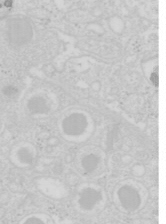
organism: Mouse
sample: Pancreas